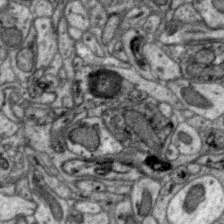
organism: Zebra finch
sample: Brain